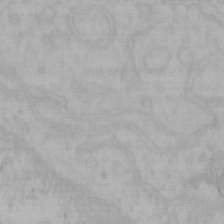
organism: Mouse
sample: Choroid plexus